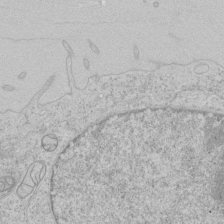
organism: Human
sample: Mitochondria in HCT116 cells